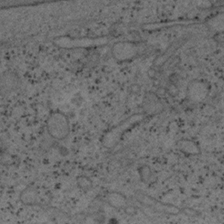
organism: Human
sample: HeLa cells